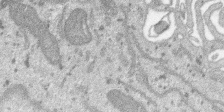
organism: Human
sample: Lung epithelial cells infected with SARS-CoV-2